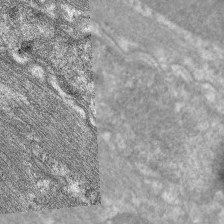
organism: C. elegans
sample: Pharynx